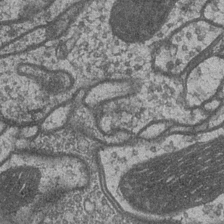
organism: Drosophila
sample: Optic medulla